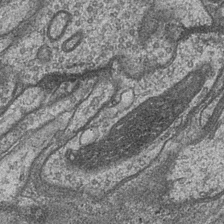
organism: Drosophila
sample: Optic medulla